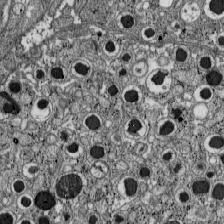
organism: C57BL Mouse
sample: Pancreatic islet